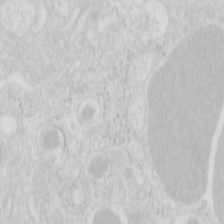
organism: Mouse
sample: Pancreas